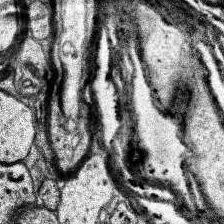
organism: Human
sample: Temporal Lobe